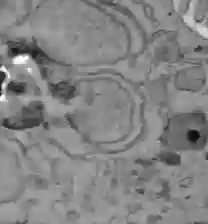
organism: C57BL Mouse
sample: Liver